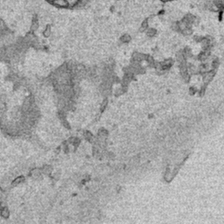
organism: Human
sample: Mitochondria in HCT116 cells